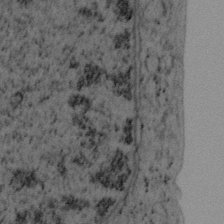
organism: Human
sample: HeLa cells